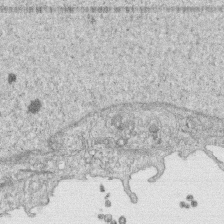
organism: Human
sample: HeLa cell HIV synapse